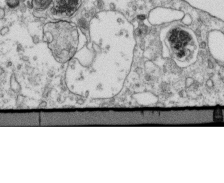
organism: Mouse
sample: Activated OT-1 CD8+ T cells